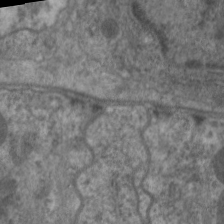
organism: C. elegans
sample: Pharynx